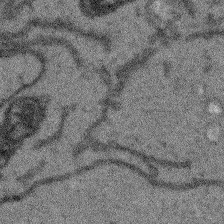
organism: Arabidopsis thaliana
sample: Root tip